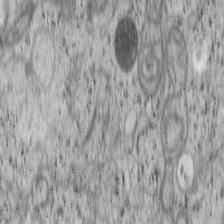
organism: Human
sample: HeLa cells